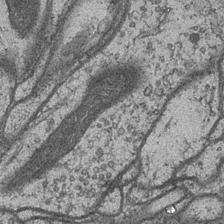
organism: Drosophila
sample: Optic medulla